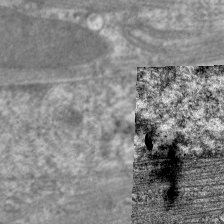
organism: C. elegans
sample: Pharynx